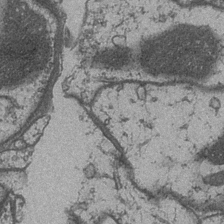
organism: Drosophila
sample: Optic medulla